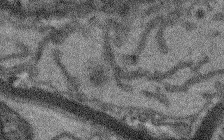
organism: Arabidopsis thaliana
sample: Root tip